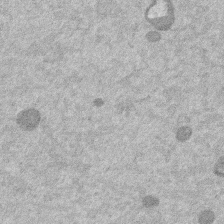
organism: Mouse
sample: Dividing mouse embryo 1 cell stage